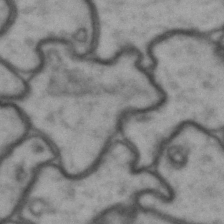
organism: Drosophila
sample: Brain